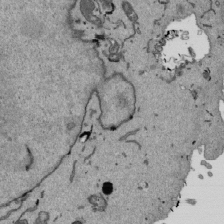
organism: Mouse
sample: ED-1 cell nuclei; centrioles